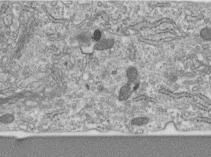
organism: Human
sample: Centriole in RPE cells